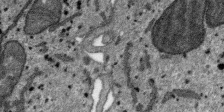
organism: Human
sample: Lung epithelial cells, uninfected (mock) control